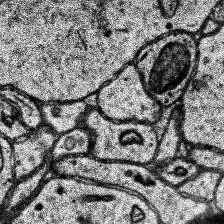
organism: Human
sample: Temporal Lobe